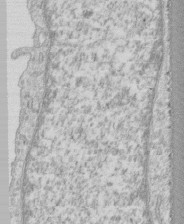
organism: Human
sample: CRL-1474